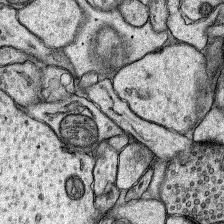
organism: Rat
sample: Hippocampus